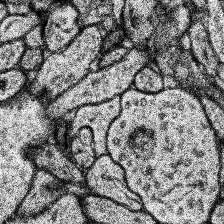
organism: Human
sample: Temporal Lobe